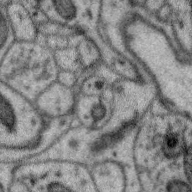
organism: Zebra finch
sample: Brain